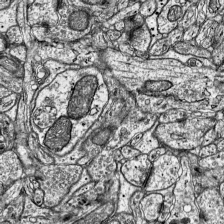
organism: Mouse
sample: Visual Cortex